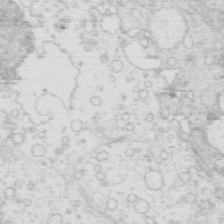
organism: Mouse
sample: Multiciliated cells